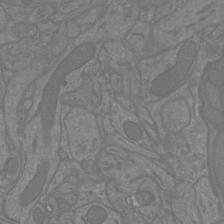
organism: Mouse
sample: Cortical neurons